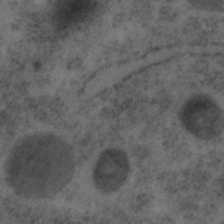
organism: C. elegans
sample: C. elegans embryo